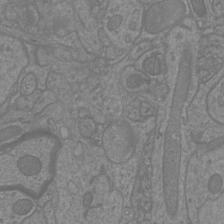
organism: Mouse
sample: Cortical neurons